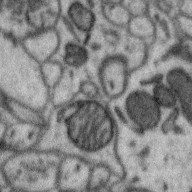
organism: Zebra finch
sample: Brain